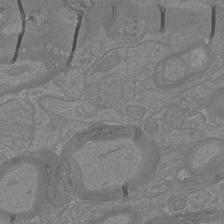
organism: Mouse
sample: Cortical neurons